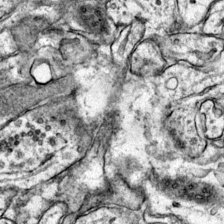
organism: Mouse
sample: Primary visual cortex